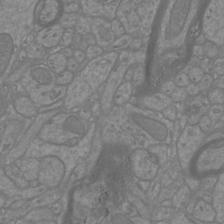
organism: Mouse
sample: Cortical neurons